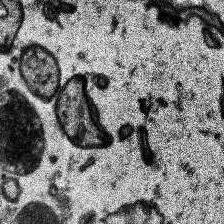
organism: Human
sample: Temporal Lobe